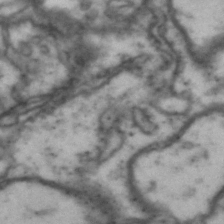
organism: Drosophila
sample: Brain